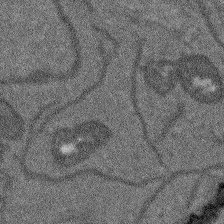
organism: Arabidopsis thaliana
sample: Root tip